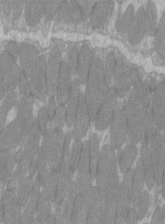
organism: C57BL Mouse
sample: Tibialis anterior muscle cell